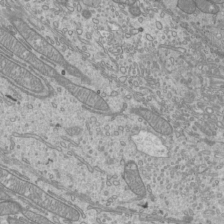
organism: Mouse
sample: Cilia; mouse epididymis